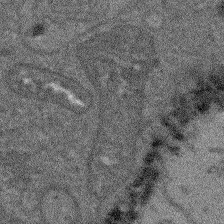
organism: Arabidopsis thaliana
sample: Root tip